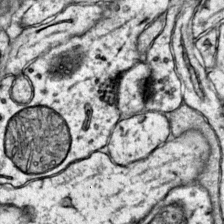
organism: Mouse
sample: Primary visual cortex